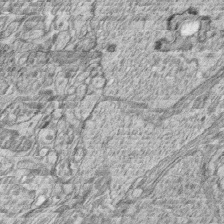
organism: Zebrafish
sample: synaptic ribbons in rod cells and cone cells